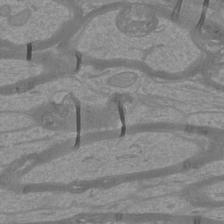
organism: Mouse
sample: Cortical neurons